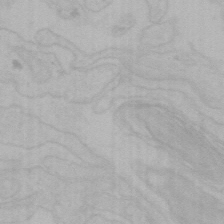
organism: Mouse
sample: Choroid plexus